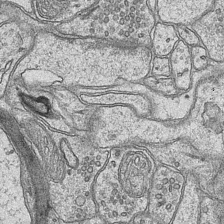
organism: Mouse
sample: CA1 Hippocampus